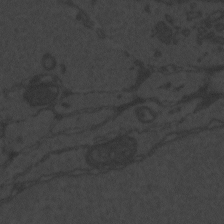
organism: Zebrafish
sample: Macrophage infected with Toxoplasma gondii